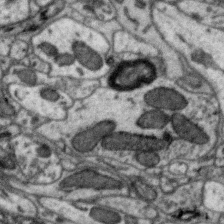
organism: Zebra finch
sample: Brain